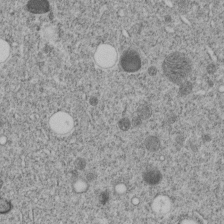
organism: C. elegans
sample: C. elegans embryo early stage